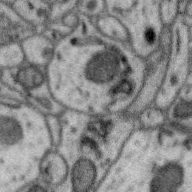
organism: Zebra finch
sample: Brain